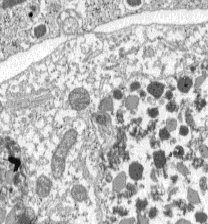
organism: C57BL Mouse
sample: Pancreatic islet